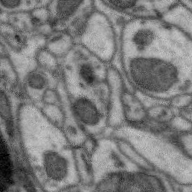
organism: Zebra finch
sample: Brain